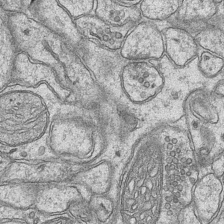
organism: Mouse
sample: CA1 Hippocampus